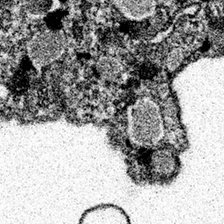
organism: Spongilla lacustris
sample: Neuroid cell